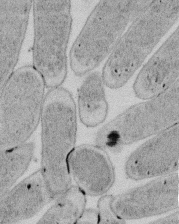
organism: E. coli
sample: Bacterial nucleoid